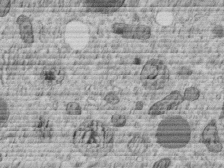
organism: C. elegans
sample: C. elegans embryo early stage